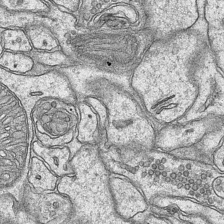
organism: Mouse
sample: CA1 Hippocampus